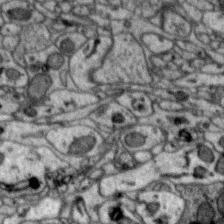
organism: Zebra finch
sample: Brain